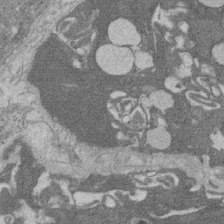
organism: Rat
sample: Salivary granule